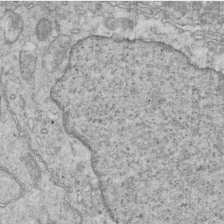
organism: Mouse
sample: Multiciliated cells